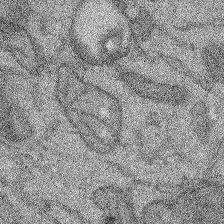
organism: Human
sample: HeLa cells